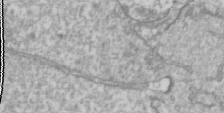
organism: Drosophila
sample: Cell division; meiosis; drosophila spermatocytes